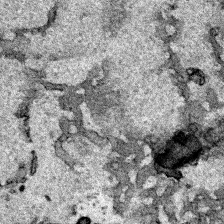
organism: Human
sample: Mitochondria in HCT116 cells